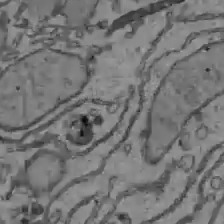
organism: C57BL Mouse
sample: Liver